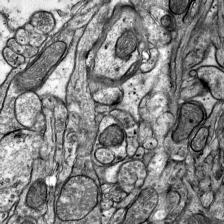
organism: Mouse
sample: Visual Cortex